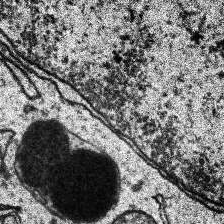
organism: Human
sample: Temporal Lobe